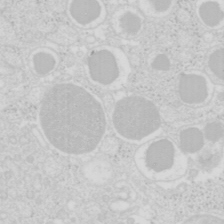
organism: Mouse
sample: Pancreas